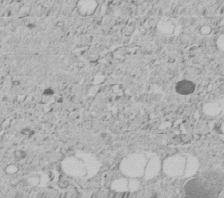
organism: C. elegans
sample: C. elegans embryo early stage